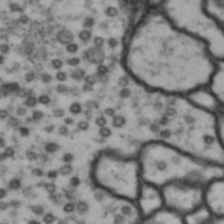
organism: Drosophila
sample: Brain